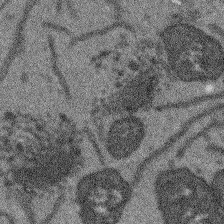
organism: Arabidopsis thaliana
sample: Root tip